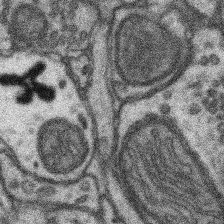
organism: Mouse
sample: Somatosensory cortex neuropil